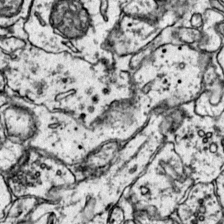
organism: Mouse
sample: Primary visual cortex